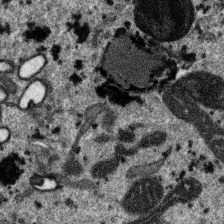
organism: Human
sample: Lung epithelial cells infected with SARS-CoV-2